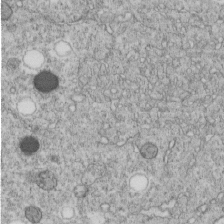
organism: C. elegans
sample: C. elegans embryo early stage